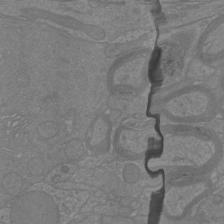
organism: Mouse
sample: Cortical neurons